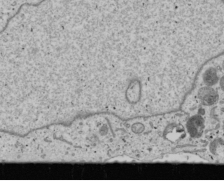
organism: Human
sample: Mitochondria in U2OS cells